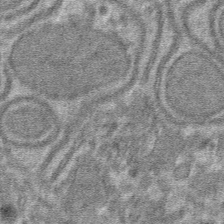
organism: Mouse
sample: Mouse hepatocytes